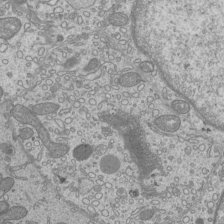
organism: Mouse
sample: Cilia; mouse epididymis